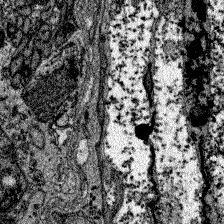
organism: Zebrafish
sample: Larval olfactory bulb